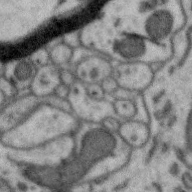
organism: Zebra finch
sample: Brain